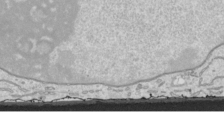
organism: Human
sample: Mitochondria in HCT116 cells